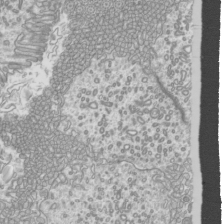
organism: Mouse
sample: Cilia; mouse epididymis